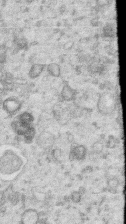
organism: Human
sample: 1205lu cells